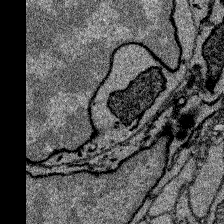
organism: Zebrafish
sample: Larval olfactory bulb